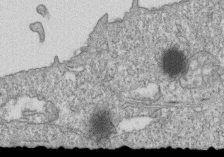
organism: Human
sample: HeLa cell HIV synapse